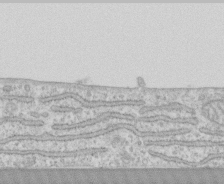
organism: Human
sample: CRL-1474